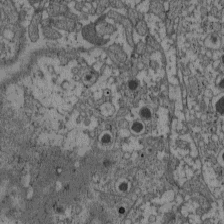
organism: C57BL Mouse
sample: Pancreatic islet